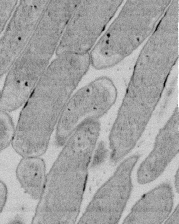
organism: E. coli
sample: Bacterial nucleoid